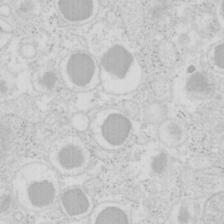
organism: Mouse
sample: Pancreas